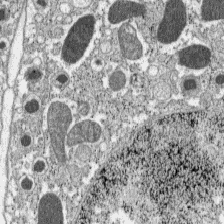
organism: C57BL Mouse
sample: Pancreatic islet